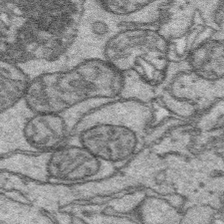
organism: Platynereis dumerilii